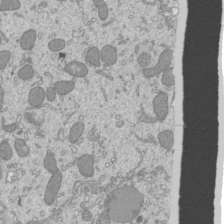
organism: Mouse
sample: Cilia; mouse epididymis